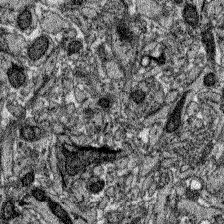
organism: Zebrafish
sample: Larval olfactory bulb